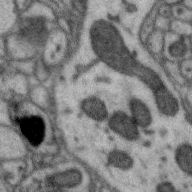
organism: Zebra finch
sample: Brain